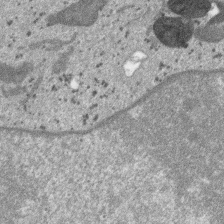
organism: Human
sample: Lung epithelial cells infected with SARS-CoV-2